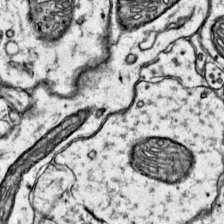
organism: Mouse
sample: Primary visual cortex